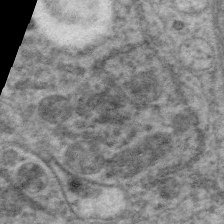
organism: C. elegans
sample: Pharynx